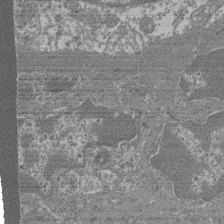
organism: Mouse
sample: Glomerulus